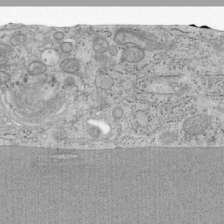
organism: Human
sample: HeLa cells